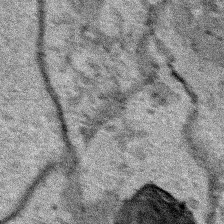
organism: Human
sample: Mitochondria in HCT116 cells